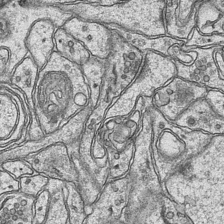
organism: Mouse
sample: CA1 Hippocampus